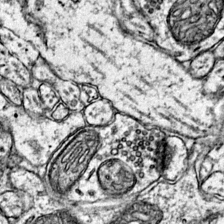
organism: Mouse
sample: Primary visual cortex